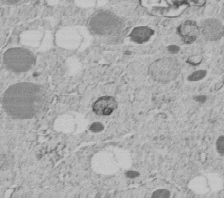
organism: C. elegans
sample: C. elegans embryo early stage